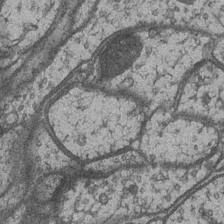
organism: Drosophila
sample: Optic medulla